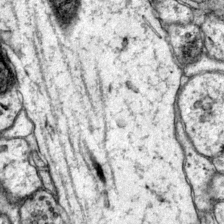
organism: Mouse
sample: Primary visual cortex